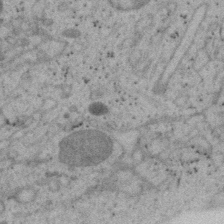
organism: Human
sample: HeLa cells